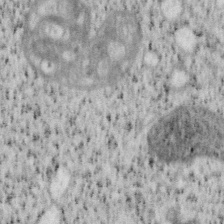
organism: Mouse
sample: OT-I killer T cells with ID8 ovarian cancer cells